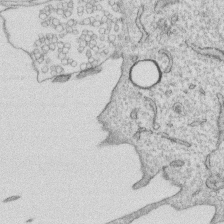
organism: Human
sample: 1205lu cells